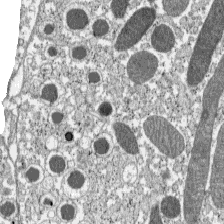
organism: C57BL Mouse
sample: Pancreatic islet